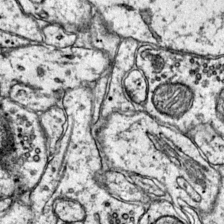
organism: Mouse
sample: Primary visual cortex